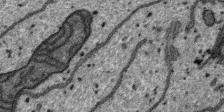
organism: Human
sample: Lung epithelial cells, uninfected (mock) control